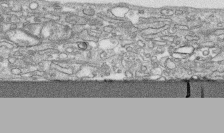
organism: Human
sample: CRL-1474